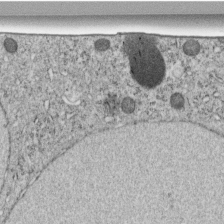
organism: C. elegans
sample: C. elegans embryo early stage